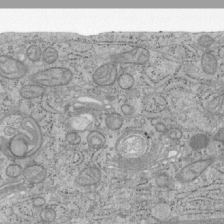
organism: Human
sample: HeLa cells